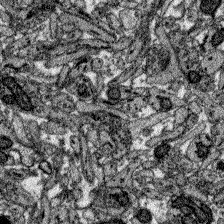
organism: Zebrafish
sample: Larval olfactory bulb